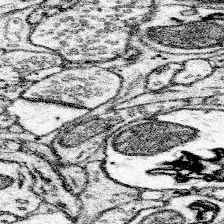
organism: Mouse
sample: Somatosensory cortex neuropil